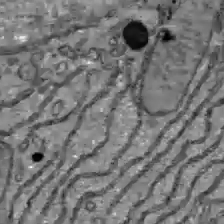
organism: C57BL Mouse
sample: Liver